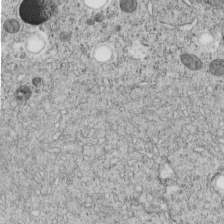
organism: C. elegans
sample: C. elegans embryo early stage